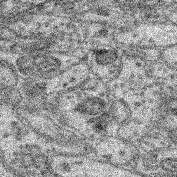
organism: Mouse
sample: Retina